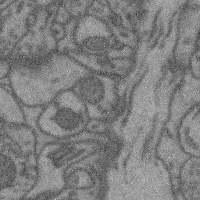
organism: Mouse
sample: Cerebral cortex